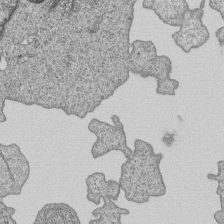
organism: Human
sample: MDA-MB-231 cells